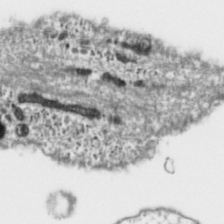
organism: Toxoplasma gondii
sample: Parasites in a vacuole inside a host cell